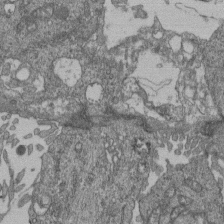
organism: Human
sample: Retinal organoid Rod and Cone cells